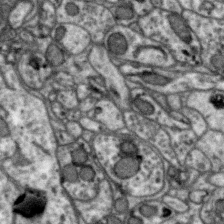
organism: Zebra finch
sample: Brain